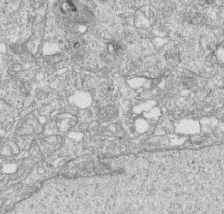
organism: Human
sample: HeLa cell HIV synapse